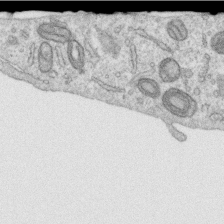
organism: Human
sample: Centriole in RPE cells